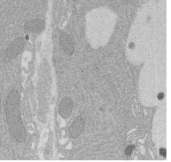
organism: Rat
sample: Salivary granule